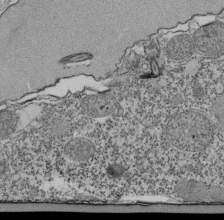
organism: Tetrahymena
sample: Cilia in tetrahymena